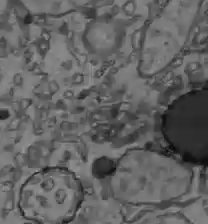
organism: C57BL Mouse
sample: Liver